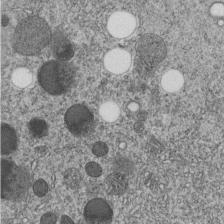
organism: C. elegans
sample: C. elegans embryo early stage